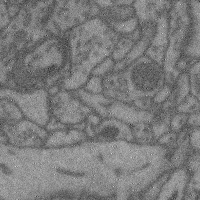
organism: Mouse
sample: Cerebral cortex